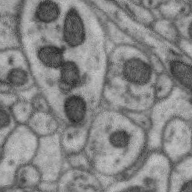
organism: Zebra finch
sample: Brain